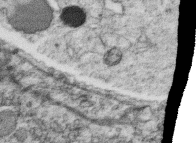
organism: C. elegans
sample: C. elegans oocyte; sperm cells